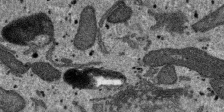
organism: Human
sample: Lung epithelial cells, uninfected (mock) control